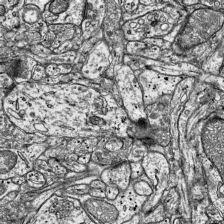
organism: Mouse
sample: Visual Cortex